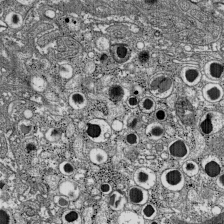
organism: C57BL Mouse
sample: Pancreatic islet